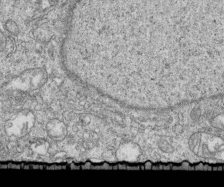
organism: Human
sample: HeLa cell HIV synapse